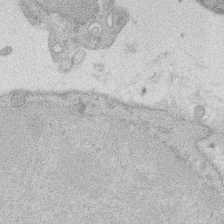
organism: Rat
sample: Salivary granule